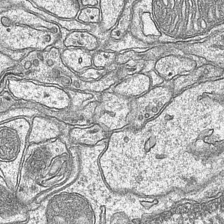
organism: Mouse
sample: CA1 Hippocampus